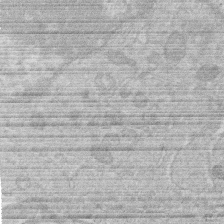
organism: Human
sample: Macrophage cells